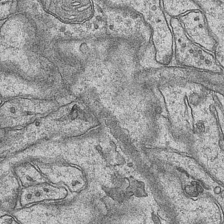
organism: Mouse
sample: CA1 Hippocampus